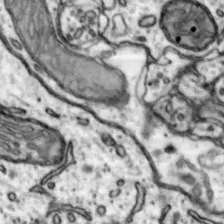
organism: Mouse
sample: Nucleus accumbens